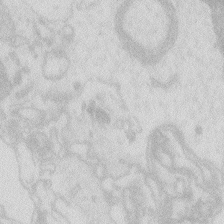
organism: Zebrafish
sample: Macrophage